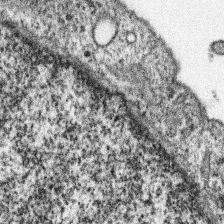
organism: Human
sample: HeLa cells